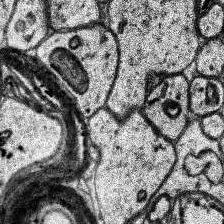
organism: Human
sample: Temporal Lobe